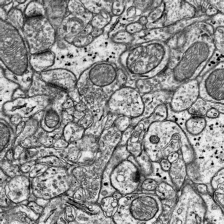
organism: Mouse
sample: Visual Cortex